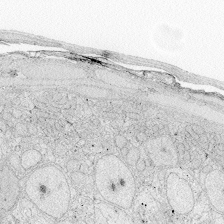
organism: Zebrafish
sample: Whole-Brain